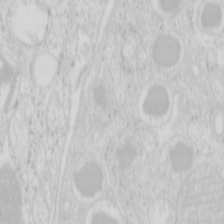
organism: Mouse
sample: Pancreas